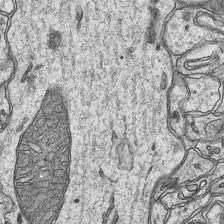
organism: Mouse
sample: CA1 Hippocampus